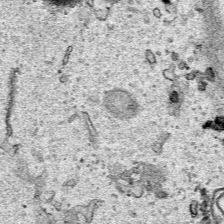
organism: Human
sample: Mitochondria in HCT116 cells